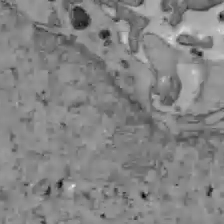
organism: C57BL Mouse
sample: Liver